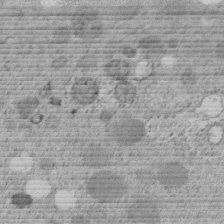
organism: C. elegans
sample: C. elegans embryo early stage